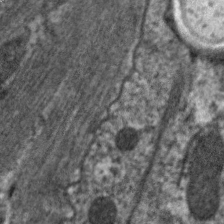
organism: C. elegans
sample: Pharynx